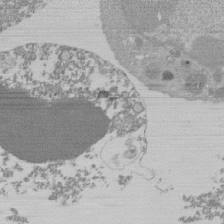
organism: Mouse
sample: Activated Pmel transgenic CD8+ T Cells